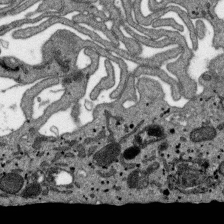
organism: Human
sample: Lung epithelial cells, uninfected (mock) control